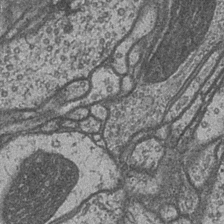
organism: Drosophila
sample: Optic medulla